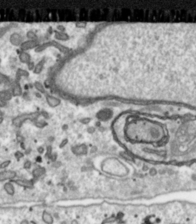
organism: Toxoplasma gondii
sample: Parasites in a vacuole inside a host cell